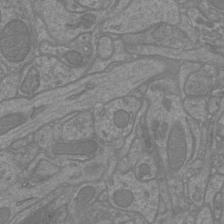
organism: Mouse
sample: Cortical neurons